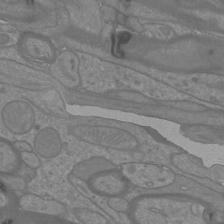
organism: Mouse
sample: Cortical neurons